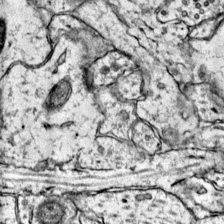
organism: Mouse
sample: Primary visual cortex